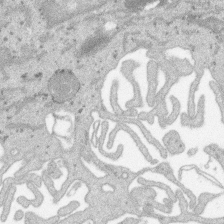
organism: Human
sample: Lung epithelial cells infected with SARS-CoV-2